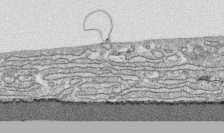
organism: Human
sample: CRL-1474